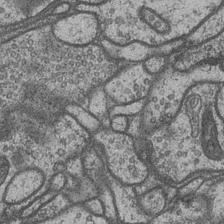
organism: Drosophila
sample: Optic medulla